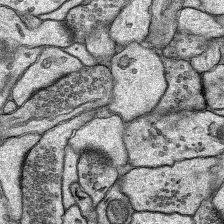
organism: Rat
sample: Hippocampus